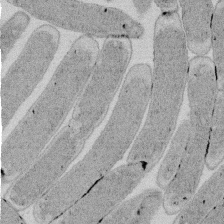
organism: E. coli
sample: Bacterial nucleoid